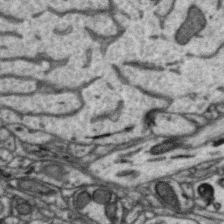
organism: Zebra finch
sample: Brain